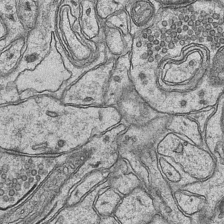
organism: Mouse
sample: CA1 Hippocampus